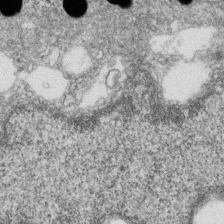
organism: Zebrafish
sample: Cilia; retinal pigment epithelium